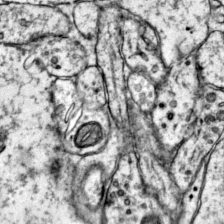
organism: Mouse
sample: Primary visual cortex